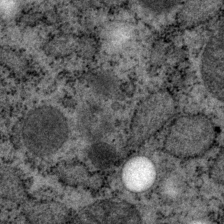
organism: P. pacificus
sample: Pharynx